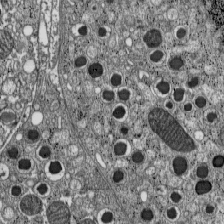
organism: C57BL Mouse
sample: Pancreatic islet